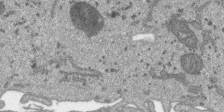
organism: Human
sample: Lung epithelial cells infected with SARS-CoV-2